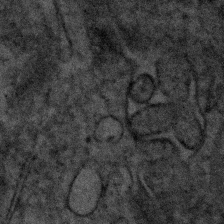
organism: Human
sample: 1205lu cells